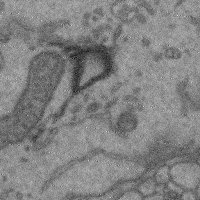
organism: Mouse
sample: Cerebral cortex